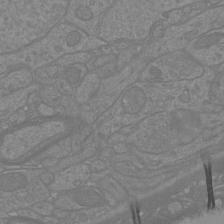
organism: Mouse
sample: Cortical neurons